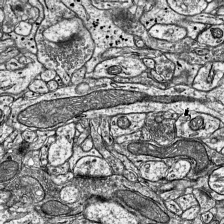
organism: Mouse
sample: Visual Cortex